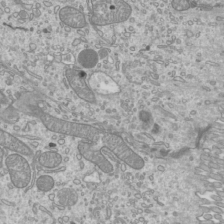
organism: Mouse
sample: Cilia; mouse epididymis